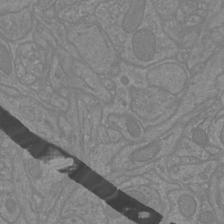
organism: Mouse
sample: Cortical neurons